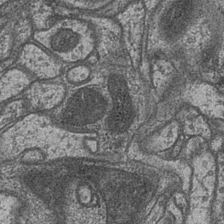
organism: Drosophila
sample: Optic medulla